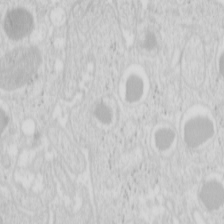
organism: Mouse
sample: Pancreas